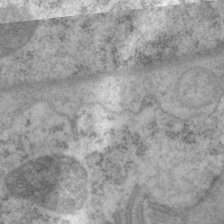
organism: P. pacificus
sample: Pharynx